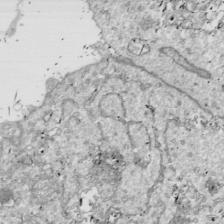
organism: Drosophila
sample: Cell division; meiosis; drosophila spermatocytes